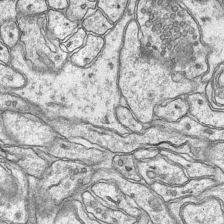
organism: Mouse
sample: CA1 Hippocampus